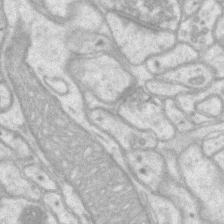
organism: Mouse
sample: CA1 Hippocampus